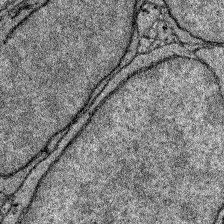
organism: Zebrafish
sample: Larval olfactory bulb